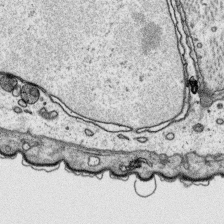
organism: Platynereis dumerilii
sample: Parapodia